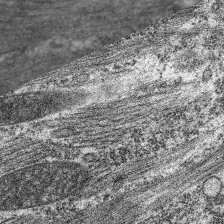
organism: C. elegans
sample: Pharynx